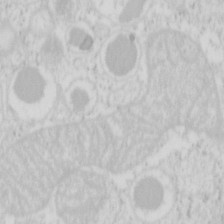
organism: Mouse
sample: Pancreas